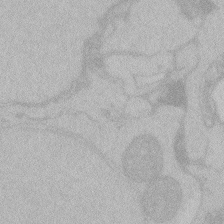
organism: Zebrafish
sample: Macrophage infected with Toxoplasma gondii